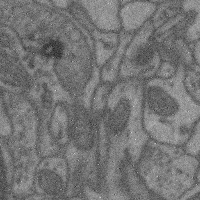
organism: Mouse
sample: Cerebral cortex